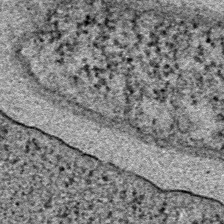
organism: E. coli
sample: E. Coli Bacteria